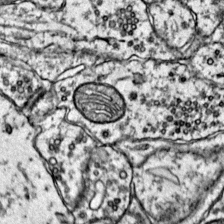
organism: Mouse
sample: Primary visual cortex